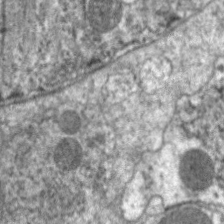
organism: C. elegans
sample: Pharynx